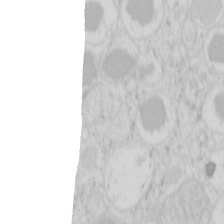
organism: Mouse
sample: Pancreas